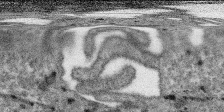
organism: Human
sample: Lung epithelial cells infected with SARS-CoV-2